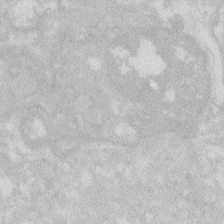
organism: Zebrafish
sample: Macrophage